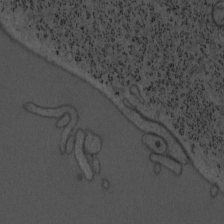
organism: Mouse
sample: OT-I killer T cells with ID8 ovarian cancer cells